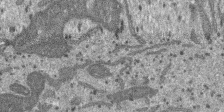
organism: Human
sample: Lung epithelial cells infected with SARS-CoV-2